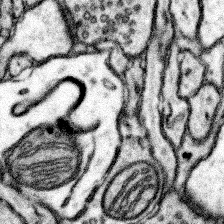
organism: Mouse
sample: Somatosensory cortex neuropil